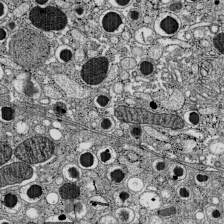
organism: C57BL Mouse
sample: Pancreatic islet